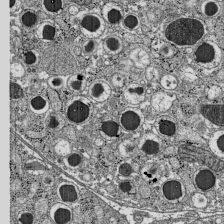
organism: C57BL Mouse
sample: Pancreatic islet